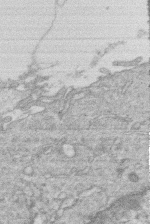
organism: Human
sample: Macrophage cells